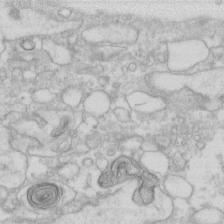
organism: Human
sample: Fibroblast cells